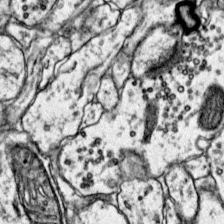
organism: Mouse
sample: Primary visual cortex